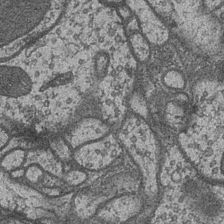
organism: Drosophila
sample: Optic medulla